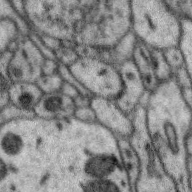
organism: Zebra finch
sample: Brain